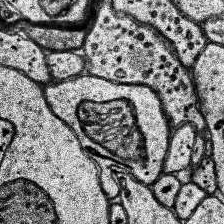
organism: Human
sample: Temporal Lobe